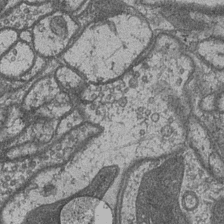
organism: Drosophila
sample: Optic medulla